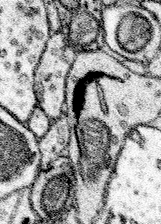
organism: Mouse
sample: Somatosensory cortex neuropil